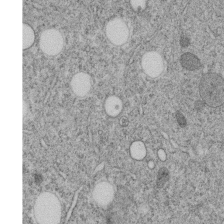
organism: C. elegans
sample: C. elegans embryo early stage